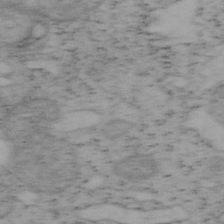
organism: Mouse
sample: OT-I killer T cells with ID8 ovarian cancer cells